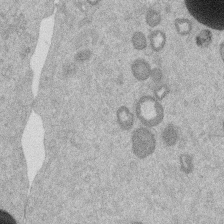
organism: Mouse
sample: Dividing mouse embryo 1 cell stage